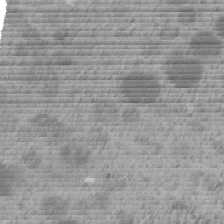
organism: C. elegans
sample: C. elegans embryo early stage